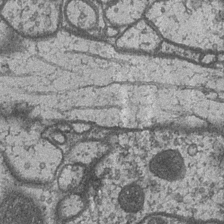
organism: Drosophila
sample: Optic medulla